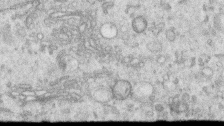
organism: Human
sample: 1205lu cells